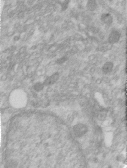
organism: Human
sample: Centriole in RPE cells